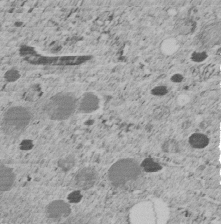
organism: C. elegans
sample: C. elegans embryo early stage